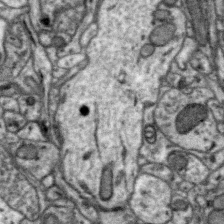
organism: Zebra finch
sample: Brain